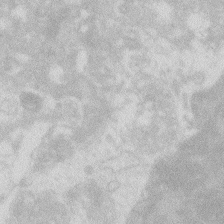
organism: Zebrafish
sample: Macrophage